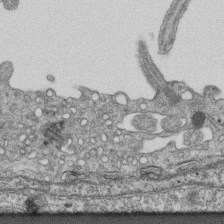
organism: Mouse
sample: Centriole in ependymal cells